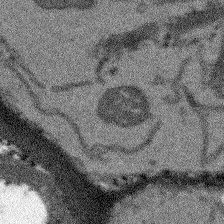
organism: Arabidopsis thaliana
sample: Root tip